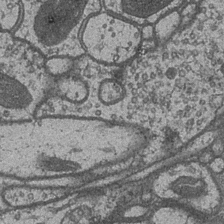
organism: Drosophila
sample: Optic medulla